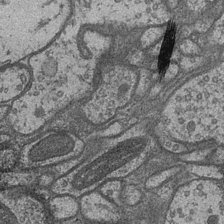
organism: Drosophila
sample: Optic medulla